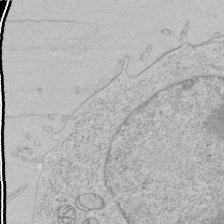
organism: Human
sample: Mitochondria in HCT116 cells